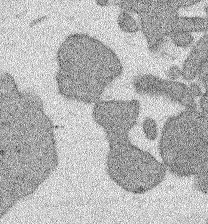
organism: Human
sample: HeLa cells